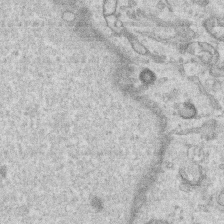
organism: Human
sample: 1205lu cells